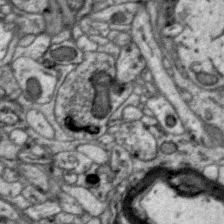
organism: Zebra finch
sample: Brain